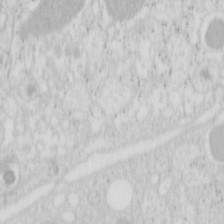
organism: Mouse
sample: Pancreas